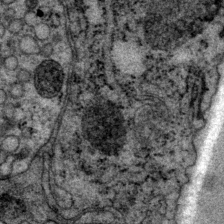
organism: P. pacificus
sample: Pharynx